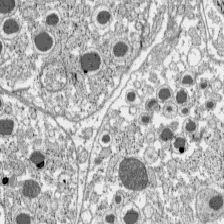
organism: C57BL Mouse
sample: Pancreatic islet